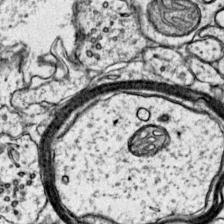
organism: Mouse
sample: Primary visual cortex